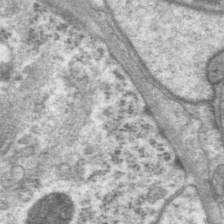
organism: P. pacificus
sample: Pharynx